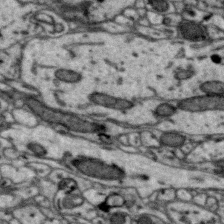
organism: Zebra finch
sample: Brain